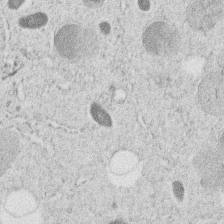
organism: C. elegans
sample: C. elegans embryo early stage